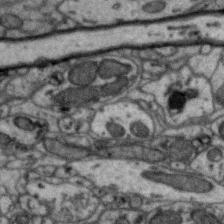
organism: Zebra finch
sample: Brain